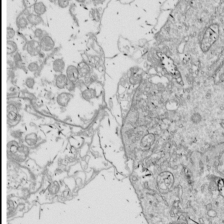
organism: Drosophila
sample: Cell division; meiosis; drosophila spermatocytes